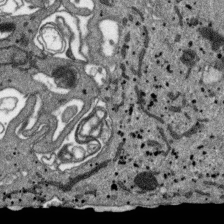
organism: Human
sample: Lung epithelial cells, uninfected (mock) control